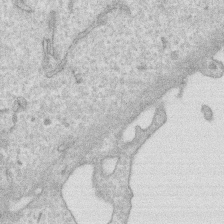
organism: Human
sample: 1205lu cells